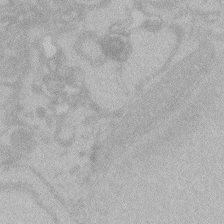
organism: Zebrafish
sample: Macrophage infected with Toxoplasma gondii